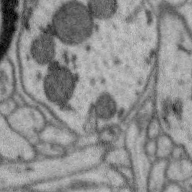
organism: Zebra finch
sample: Brain